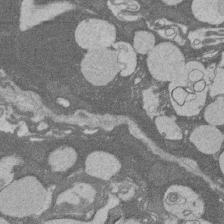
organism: Rat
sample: Salivary granule